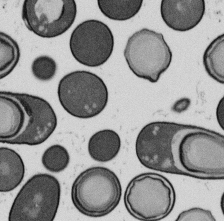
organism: B. subtilis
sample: Bacterial spore